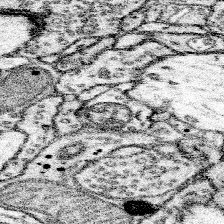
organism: Mouse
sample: Somatosensory cortex neuropil